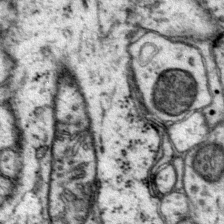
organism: Mouse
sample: Primary visual cortex